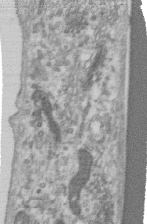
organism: Human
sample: Centriole in RPE cells